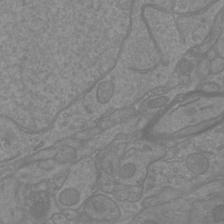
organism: Mouse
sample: Cortical neurons